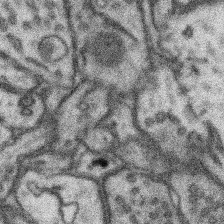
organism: Mouse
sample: Somatosensory cortex neuropil